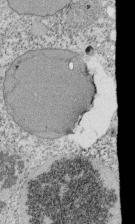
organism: Tetrahymena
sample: Cilia in tetrahymena